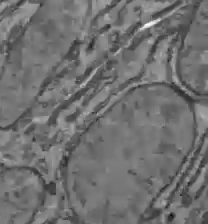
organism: C57BL Mouse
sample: Liver